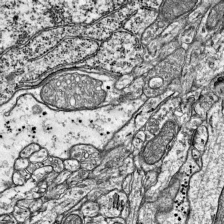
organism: Mouse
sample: Visual Cortex